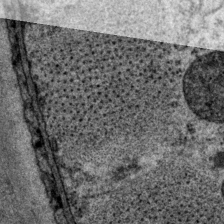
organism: P. pacificus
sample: Pharynx